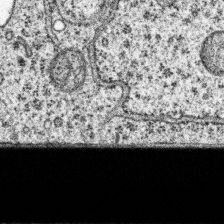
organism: Human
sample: HeLa cells